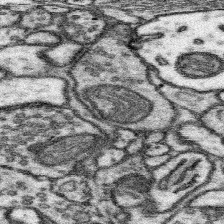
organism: Mouse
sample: Somatosensory cortex neuropil